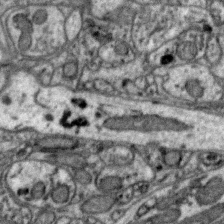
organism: Zebra finch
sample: Brain